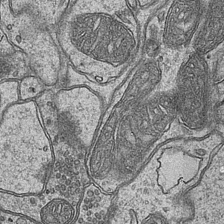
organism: Mouse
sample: CA1 Hippocampus